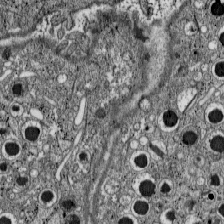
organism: C57BL Mouse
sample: Pancreatic islet